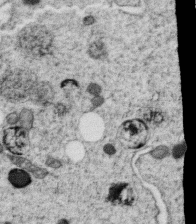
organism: C. elegans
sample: C. elegans oocyte; sperm cells